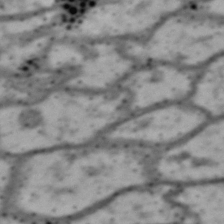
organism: Drosophila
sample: Brain